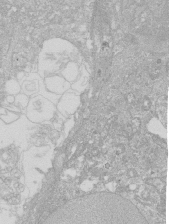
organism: Human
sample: Caco-2 cells